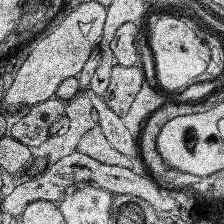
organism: Human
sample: Temporal Lobe